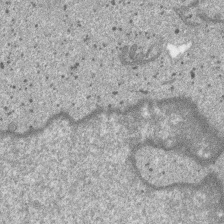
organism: Human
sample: Lung epithelial cells infected with SARS-CoV-2